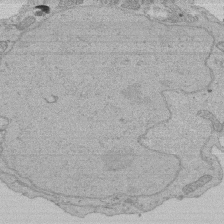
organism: Human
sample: Activated Jurkat CD4+ T cells